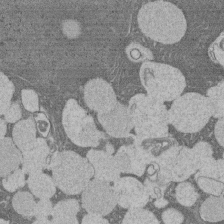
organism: Rat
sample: Salivary granule